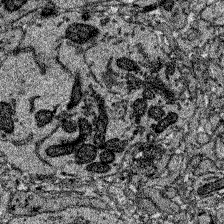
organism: Zebrafish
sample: Larval olfactory bulb